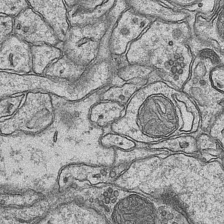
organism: Mouse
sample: CA1 Hippocampus